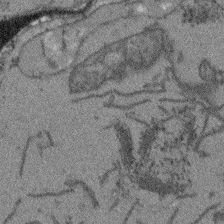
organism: Arabidopsis thaliana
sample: Root tip